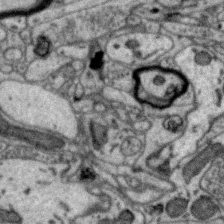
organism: Zebra finch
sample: Brain